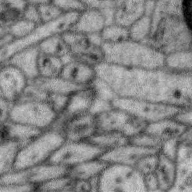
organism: Zebra finch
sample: Brain